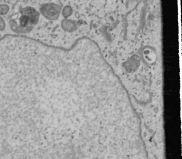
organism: Human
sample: Mitochondria in U2OS cells